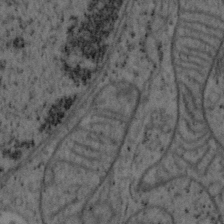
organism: Human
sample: HeLa cells